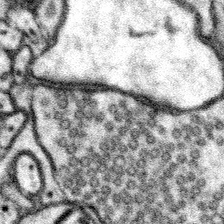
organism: Mouse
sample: Somatosensory cortex neuropil